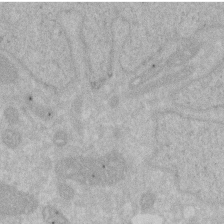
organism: Human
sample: HIV infected U937 cells